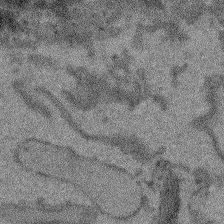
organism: Arabidopsis thaliana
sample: Root tip